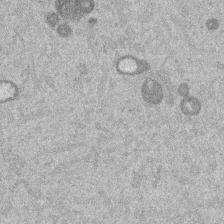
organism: Mouse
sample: Dividing mouse embryo 1 cell stage